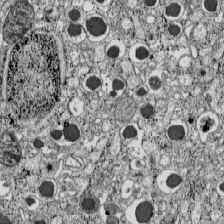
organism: C57BL Mouse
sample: Pancreatic islet